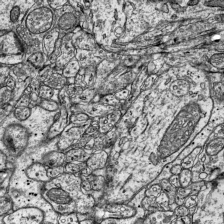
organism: Mouse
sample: Visual Cortex